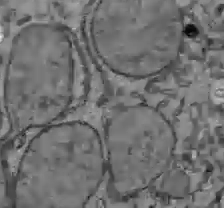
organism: C57BL Mouse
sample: Liver